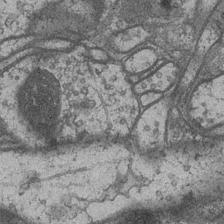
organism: Drosophila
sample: Optic medulla